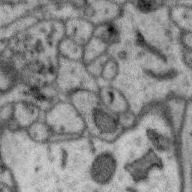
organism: Zebra finch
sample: Brain